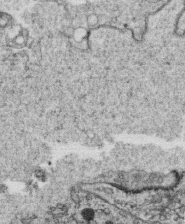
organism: C. elegans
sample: C. elegans oocyte; sperm cells